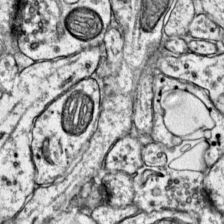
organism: Mouse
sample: Primary visual cortex